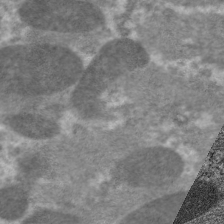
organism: C. elegans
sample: Pharynx